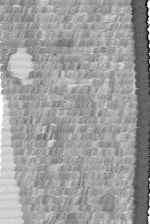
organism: Human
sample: Centriole in fibroblast cells